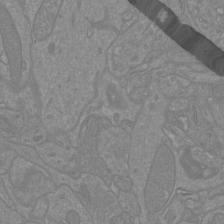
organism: Mouse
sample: Cortical neurons